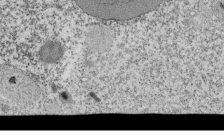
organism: Tetrahymena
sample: Cilia in tetrahymena